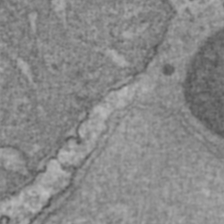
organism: Human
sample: Blood